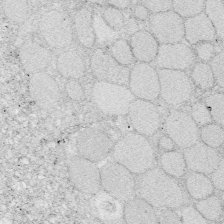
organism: Zebrafish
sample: Whole-Brain